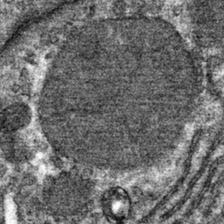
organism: Mouse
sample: Mouse hepatocytes